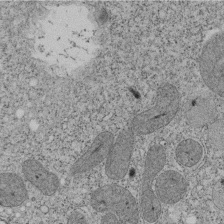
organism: Tetrahymena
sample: Cilia in tetrahymena